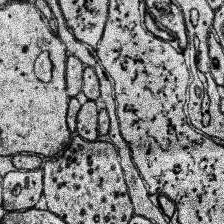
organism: Human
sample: Temporal Lobe